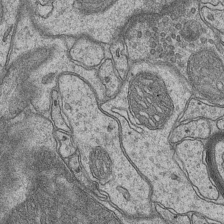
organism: Mouse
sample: CA1 Hippocampus